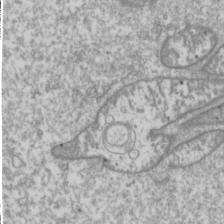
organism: Drosophila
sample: Cell division; meiosis; drosophila spermatocytes